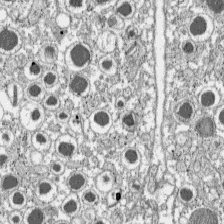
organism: C57BL Mouse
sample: Pancreatic islet